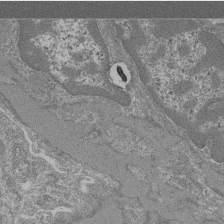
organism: Mouse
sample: Glomerulus